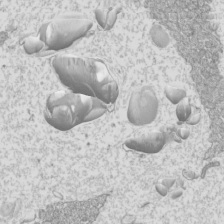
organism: Mouse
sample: Cilia; mouse epididymis